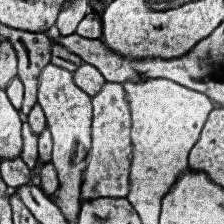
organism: Human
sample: Temporal Lobe